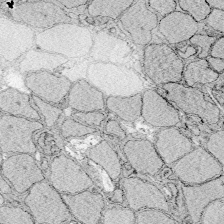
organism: Zebrafish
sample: Whole-Brain